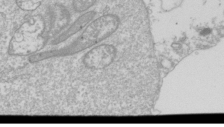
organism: Drosophila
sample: Cell division; meiosis; drosophila spermatocytes